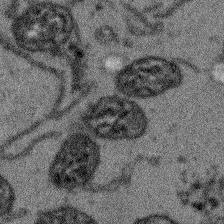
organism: Arabidopsis thaliana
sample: Root tip